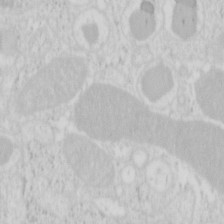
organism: Mouse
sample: Pancreas